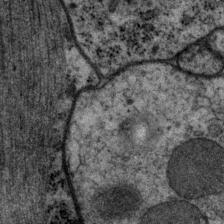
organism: P. pacificus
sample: Pharynx